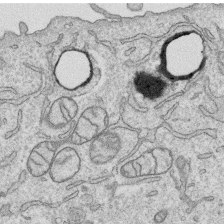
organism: Human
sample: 1205lu cells